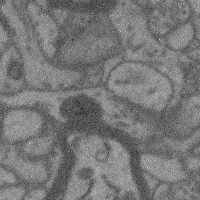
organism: Mouse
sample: Cerebral cortex